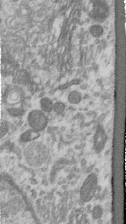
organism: Human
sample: Centriole in RPE cells